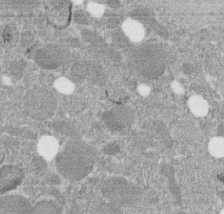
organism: C. elegans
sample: C. elegans embryo early stage